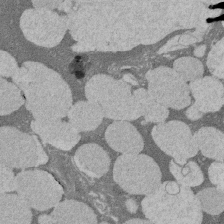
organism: Rat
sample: Salivary granule